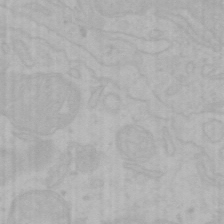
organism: Mouse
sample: Choroid plexus